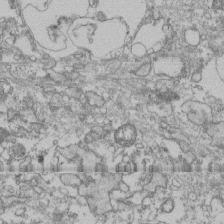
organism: Human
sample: Fibroblast cells